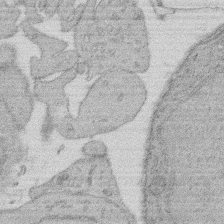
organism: Rat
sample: Salivary granule